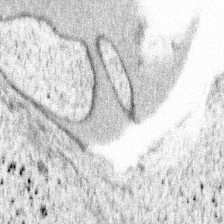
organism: Human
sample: HeLa cells